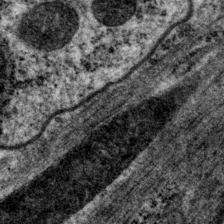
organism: P. pacificus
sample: Pharynx